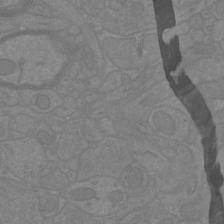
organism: Mouse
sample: Cortical neurons